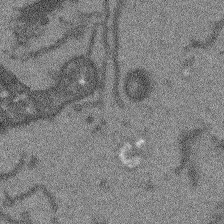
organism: Arabidopsis thaliana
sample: Root tip